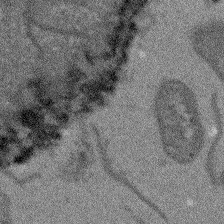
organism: Arabidopsis thaliana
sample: Root tip